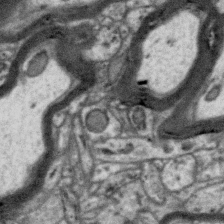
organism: Zebra finch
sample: Brain